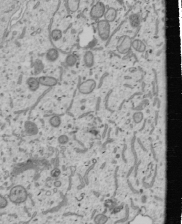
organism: Human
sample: Mitochondria in U2OS cells